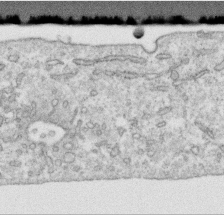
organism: Human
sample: Centriole in RPE cells